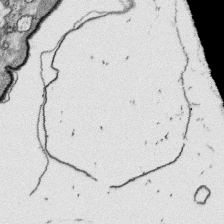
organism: Platynereis dumerilii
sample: Parapodia